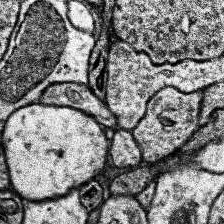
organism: Human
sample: Temporal Lobe